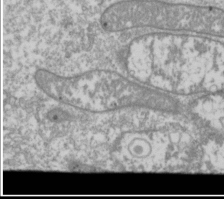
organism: Drosophila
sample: Cell division; meiosis; drosophila spermatocytes